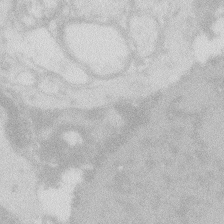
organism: Zebrafish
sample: Macrophage